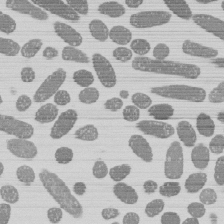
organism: E. coli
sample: Bacterial nucleoid